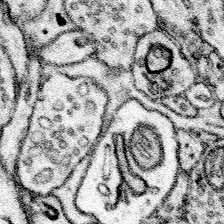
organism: Mouse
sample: Somatosensory cortex neuropil